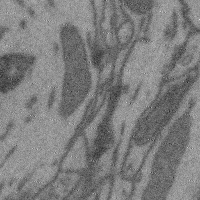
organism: Mouse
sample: Cerebral cortex